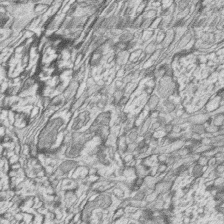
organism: Zebrafish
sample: synaptic ribbons in rod cells and cone cells